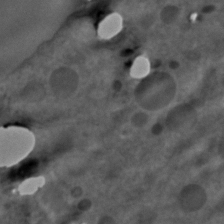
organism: C. elegans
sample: C. elegans embryo